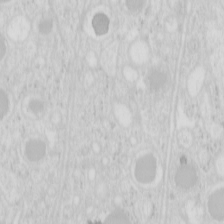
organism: Mouse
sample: Pancreas